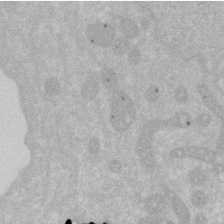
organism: Human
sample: HIV infected U937 cells